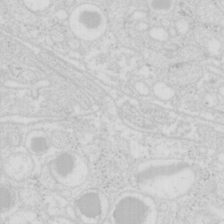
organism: Mouse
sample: Pancreas